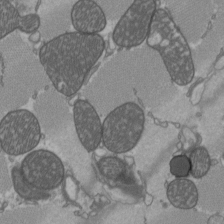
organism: C57BL Mouse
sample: Heart